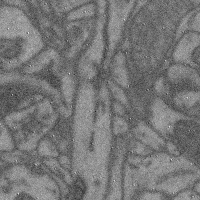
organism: Mouse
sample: Cerebral cortex